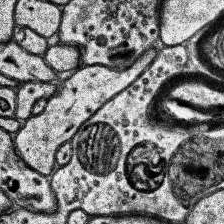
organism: Human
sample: Temporal Lobe